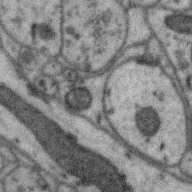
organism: Zebra finch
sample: Brain